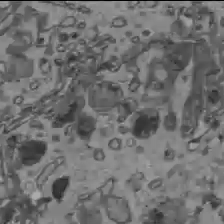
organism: C57BL Mouse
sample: Liver